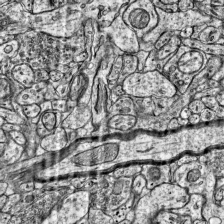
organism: Mouse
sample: Visual Cortex